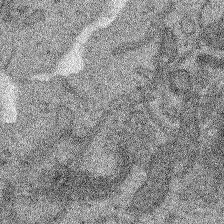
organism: Human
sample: HeLa cells